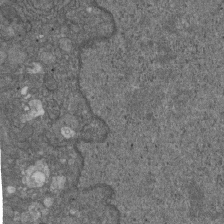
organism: Drosophila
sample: Nephrocyte